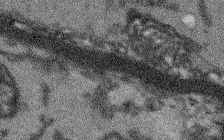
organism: Arabidopsis thaliana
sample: Root tip